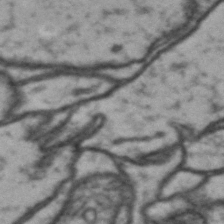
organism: Drosophila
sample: Brain